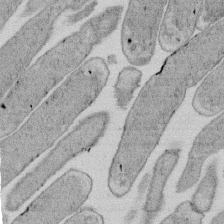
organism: E. coli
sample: Bacterial nucleoid